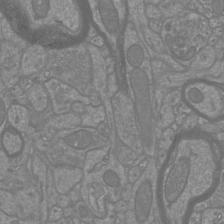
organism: Mouse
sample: Cortical neurons